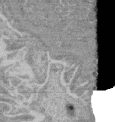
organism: Mouse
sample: Glomerulus